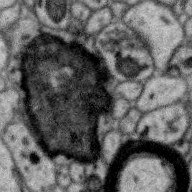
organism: Zebra finch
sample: Brain